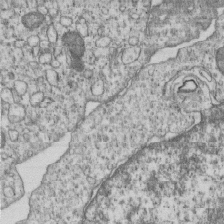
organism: Human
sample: MDA-MB-231 cells